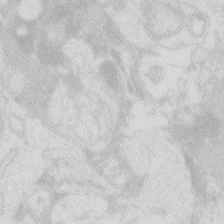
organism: Zebrafish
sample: Macrophage